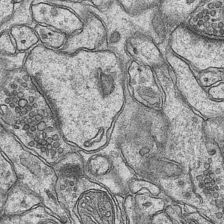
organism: Mouse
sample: CA1 Hippocampus